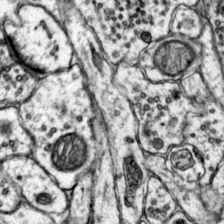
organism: Mouse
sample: Primary visual cortex